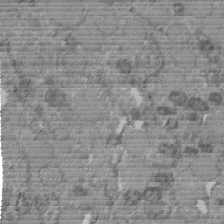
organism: C. elegans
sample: C. elegans embryo early stage